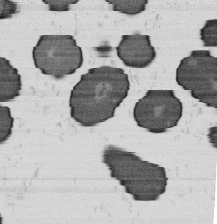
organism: B. subtilis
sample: Bacterial spore